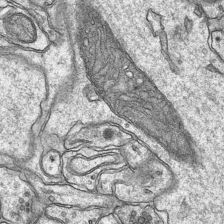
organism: Mouse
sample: CA1 Hippocampus